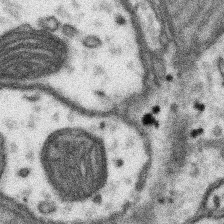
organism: Mouse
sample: Somatosensory cortex neuropil